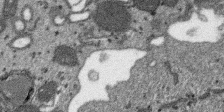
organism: Human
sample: Lung epithelial cells infected with SARS-CoV-2